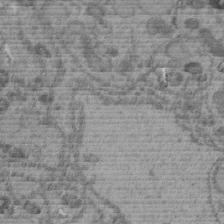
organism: C. elegans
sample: C. elegans embryo early stage